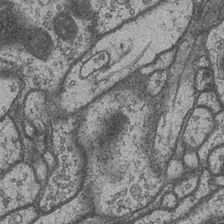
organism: Drosophila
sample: Optic medulla